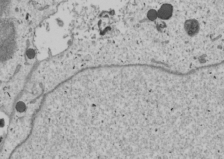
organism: Human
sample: Mitochondria in U2OS cells